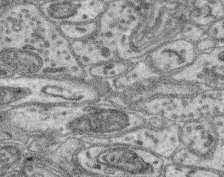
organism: Mouse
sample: Retina